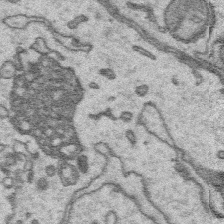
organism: Platynereis dumerilii